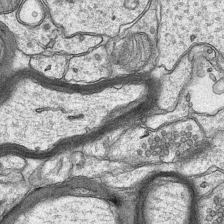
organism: Mouse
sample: CA1 Hippocampus